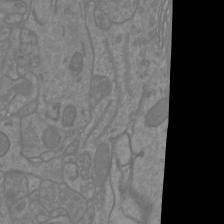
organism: Mouse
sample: Cortical neurons